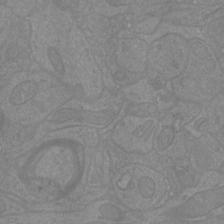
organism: Mouse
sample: Cortical neurons